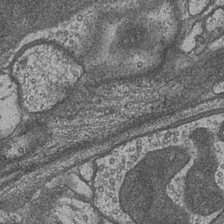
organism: Drosophila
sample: Optic medulla